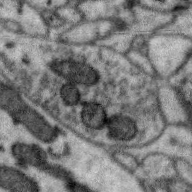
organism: Zebra finch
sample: Brain